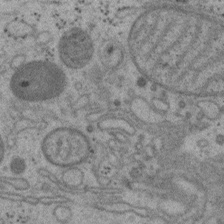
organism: Human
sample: HeLa cells